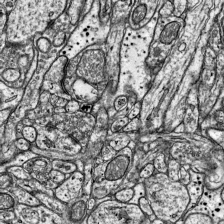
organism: Mouse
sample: Visual Cortex